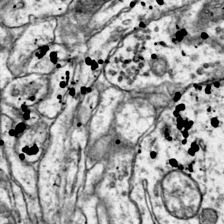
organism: Mouse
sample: Primary visual cortex